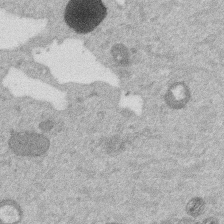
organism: Mouse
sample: Dividing mouse embryo 1 cell stage